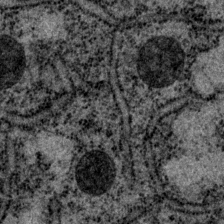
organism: P. pacificus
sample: Pharynx